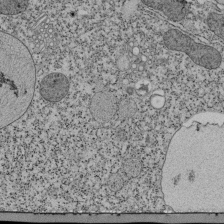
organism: Tetrahymena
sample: Cilia in tetrahymena